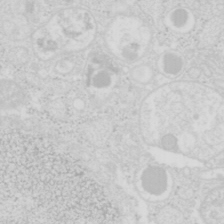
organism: Mouse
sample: Pancreas